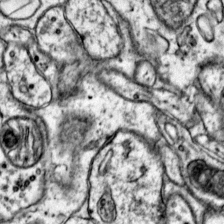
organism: Mouse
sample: Primary visual cortex